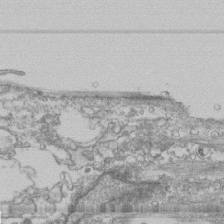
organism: Human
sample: Fibroblast cells